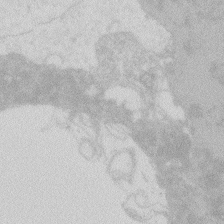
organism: Zebrafish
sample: Macrophage